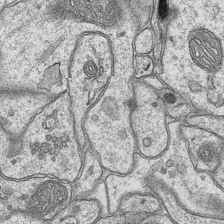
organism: Mouse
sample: CA1 Hippocampus